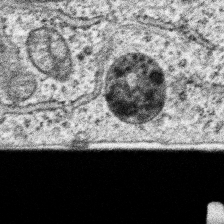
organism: Human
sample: HeLa cells